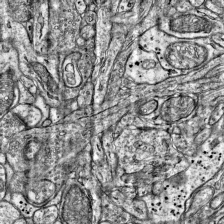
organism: Mouse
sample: Visual Cortex